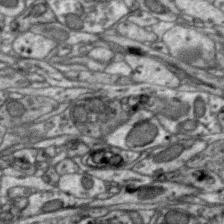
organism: Zebra finch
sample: Brain